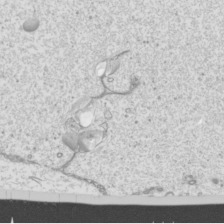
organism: Mouse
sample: Cilia; mouse epididymis